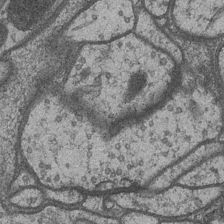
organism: Drosophila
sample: Optic medulla